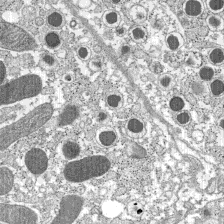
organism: C57BL Mouse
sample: Pancreatic islet